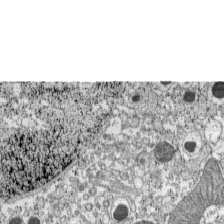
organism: C57BL Mouse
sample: Pancreatic islet